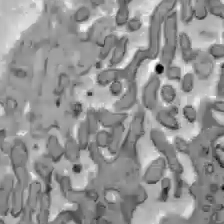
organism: C57BL Mouse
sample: Liver